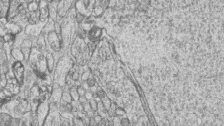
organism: Zebrafish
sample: synaptic ribbons in rod cells and cone cells